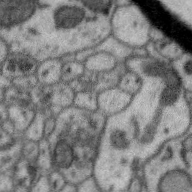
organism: Zebra finch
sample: Brain